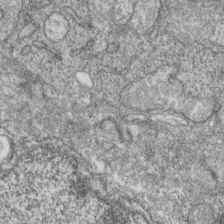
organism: Zebrafish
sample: Cilia; retinal pigment epithelium